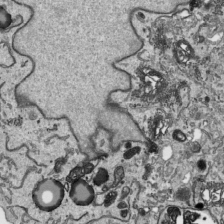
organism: Human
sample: Mitochondria in HCT116 cells